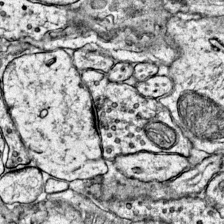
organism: Mouse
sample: Primary visual cortex